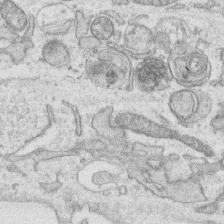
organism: Human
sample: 1205lu cells